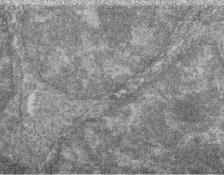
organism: Zebrafish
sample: Cilia; retinal pigment epithelium